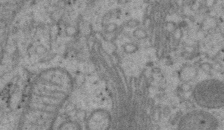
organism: Human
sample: HeLa cells